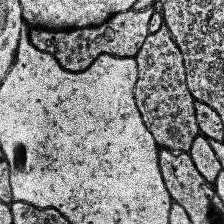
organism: Human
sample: Temporal Lobe